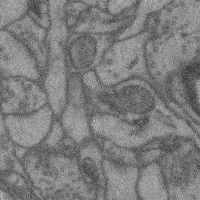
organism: Mouse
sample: Cerebral cortex